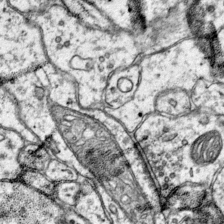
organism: Mouse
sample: Primary visual cortex